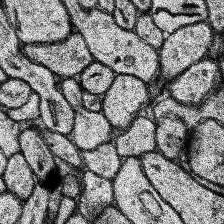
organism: Human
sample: Temporal Lobe